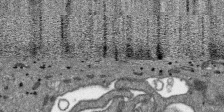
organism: Human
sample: Lung epithelial cells, uninfected (mock) control